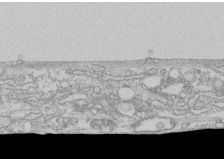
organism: Human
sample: CRL-1474